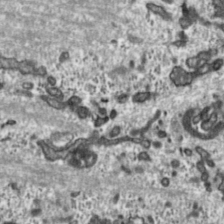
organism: Toxoplasma gondii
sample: Parasites in a vacuole inside a host cell